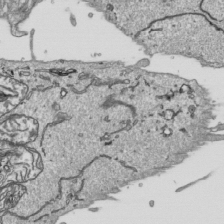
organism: Human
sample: Mitochondria in HCT116 cells